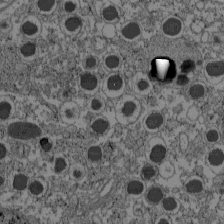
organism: C57BL Mouse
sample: Pancreatic islet